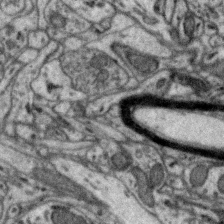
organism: Zebra finch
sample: Brain